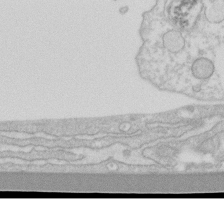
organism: Human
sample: Fibroblast cells